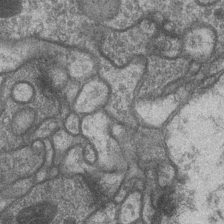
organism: Drosophila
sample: Optic medulla